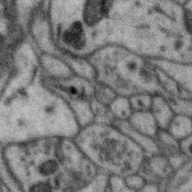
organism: Zebra finch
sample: Brain